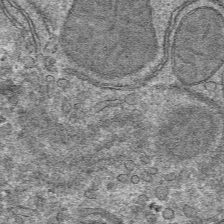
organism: Mouse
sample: Mouse hepatocytes